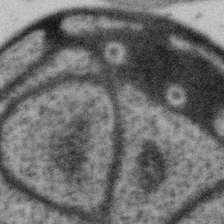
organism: Gemmata obscuriglobus